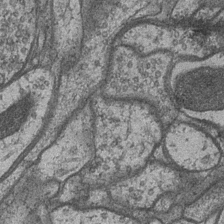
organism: Drosophila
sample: Optic medulla